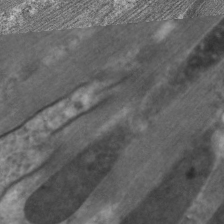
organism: C. elegans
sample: Pharynx